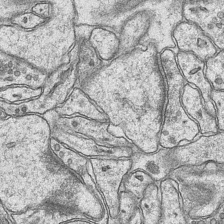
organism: Mouse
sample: CA1 Hippocampus